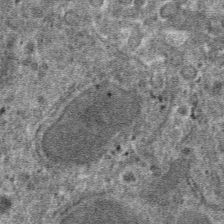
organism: Mouse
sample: Mouse hepatocytes